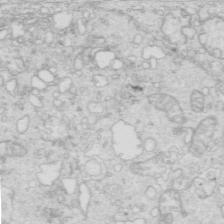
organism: Mouse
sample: Multiciliated cells